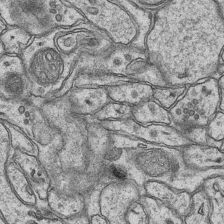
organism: Mouse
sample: CA1 Hippocampus